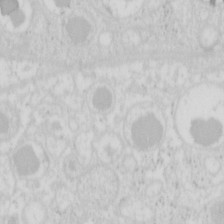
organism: Mouse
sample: Pancreas